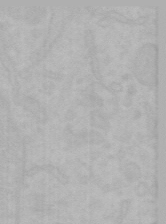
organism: Mouse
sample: Choroid plexus